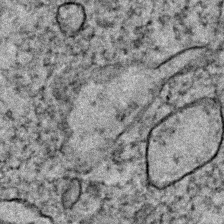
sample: Trachea